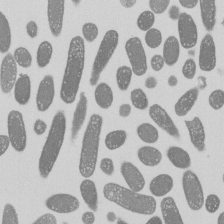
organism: E. coli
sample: Bacterial nucleoid